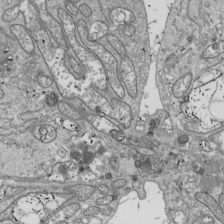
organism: Drosophila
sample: Cell division; meiosis; drosophila spermatocytes